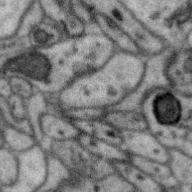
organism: Zebra finch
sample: Brain